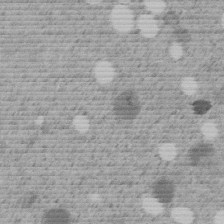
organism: C. elegans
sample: C. elegans embryo early stage